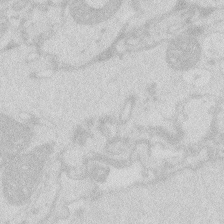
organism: Zebrafish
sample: Macrophage